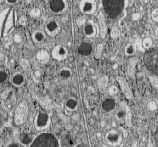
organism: C57BL Mouse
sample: Pancreatic islet